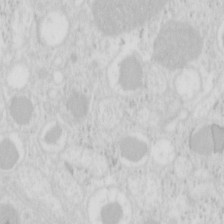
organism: Mouse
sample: Pancreas